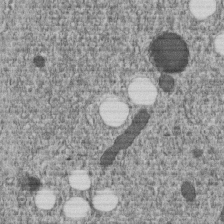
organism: C. elegans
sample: C. elegans embryo early stage